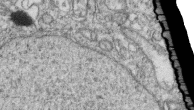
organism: Human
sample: HeLa cell HIV synapse